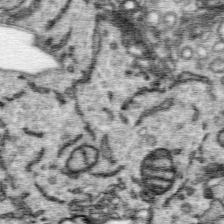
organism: Human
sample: HeLa cells